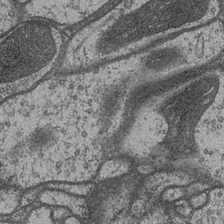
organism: Drosophila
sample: Optic medulla